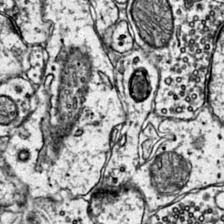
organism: Mouse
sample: Primary visual cortex